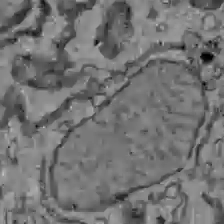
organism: C57BL Mouse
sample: Liver